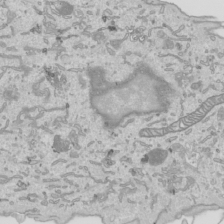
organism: Human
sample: Mitochondria in HCT116 cells